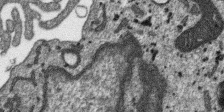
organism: Human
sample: Lung epithelial cells infected with SARS-CoV-2